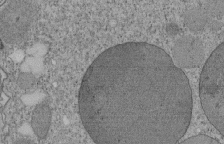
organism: Tetrahymena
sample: Cilia in tetrahymena